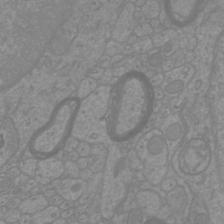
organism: Mouse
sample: Cortical neurons